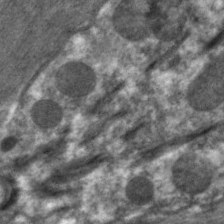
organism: C. elegans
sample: Pharynx